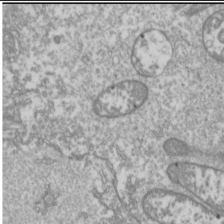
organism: Drosophila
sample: Cell division; meiosis; drosophila spermatocytes